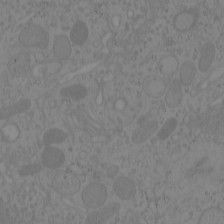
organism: Human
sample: HeLa cells